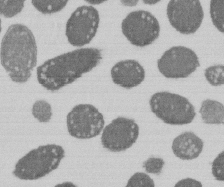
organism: E. coli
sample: Bacterial nucleoid